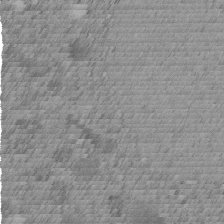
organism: C. elegans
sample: C. elegans embryo early stage